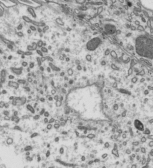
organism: Mouse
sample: Mouse epididymis efferent ductule cilia